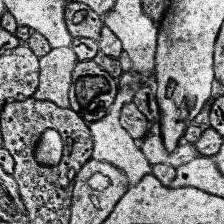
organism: Human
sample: Temporal Lobe